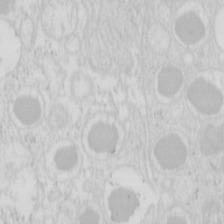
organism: Mouse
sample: Pancreas